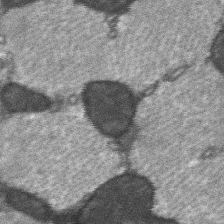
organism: C57BL Mouse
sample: Soleus